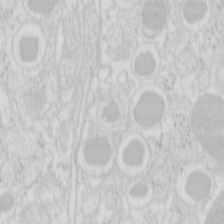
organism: Mouse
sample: Pancreas